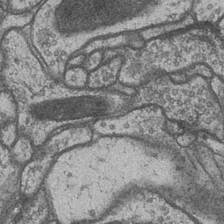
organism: Drosophila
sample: Optic medulla